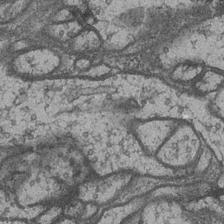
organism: Drosophila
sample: Optic medulla